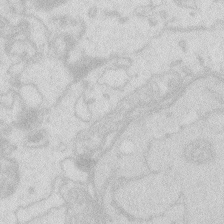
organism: Zebrafish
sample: Macrophage